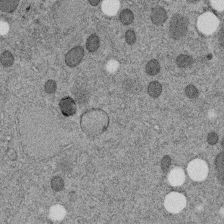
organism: C. elegans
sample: C. elegans embryo early stage